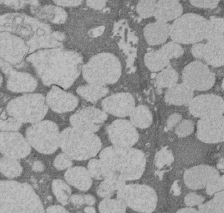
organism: Rat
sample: Salivary granule